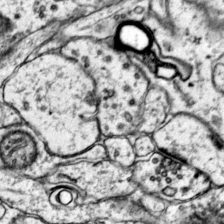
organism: Mouse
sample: Primary visual cortex